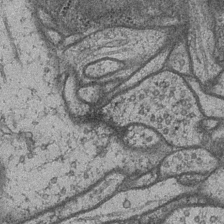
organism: Drosophila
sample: Optic medulla